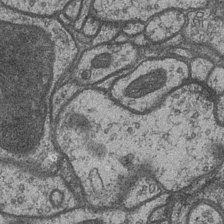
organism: Drosophila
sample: Optic medulla